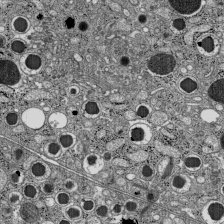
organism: C57BL Mouse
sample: Pancreatic islet